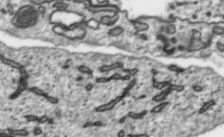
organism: Toxoplasma gondii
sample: Parasites in a vacuole inside a host cell